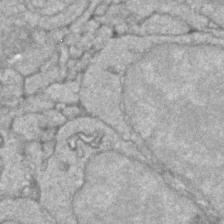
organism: Zebrafish